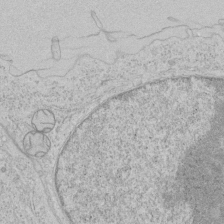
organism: Human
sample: Mitochondria in HCT116 cells